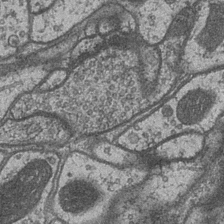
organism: Drosophila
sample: Optic medulla